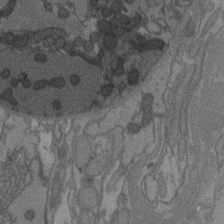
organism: C. elegans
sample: AFD neurons C. elegans